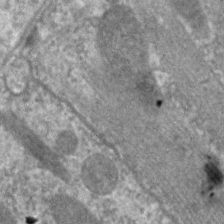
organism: C. elegans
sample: Pharynx